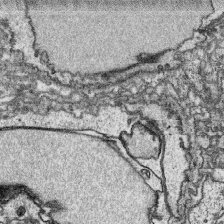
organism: Platynereis dumerilii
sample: Parapodia